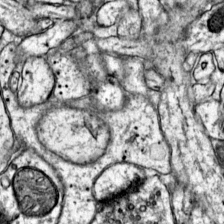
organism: Mouse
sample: Primary visual cortex